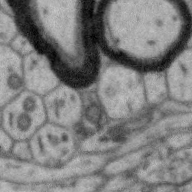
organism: Zebra finch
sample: Brain